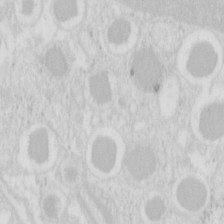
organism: Mouse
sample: Pancreas